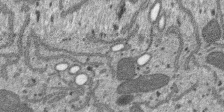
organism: Human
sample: Lung epithelial cells infected with SARS-CoV-2